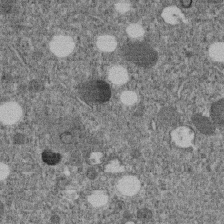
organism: C. elegans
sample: C. elegans embryo early stage